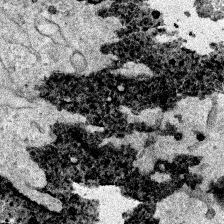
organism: Human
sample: Mitochondria in HCT116 cells